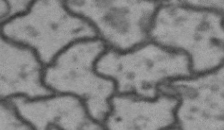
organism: Drosophila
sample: Brain